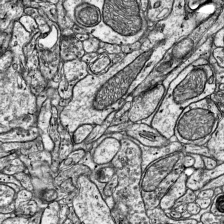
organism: Mouse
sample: Visual Cortex